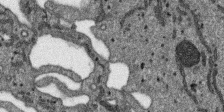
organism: Human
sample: Lung epithelial cells infected with SARS-CoV-2